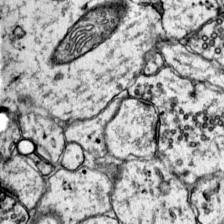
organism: Mouse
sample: Primary visual cortex